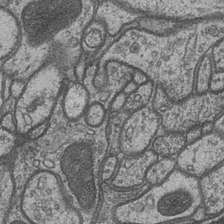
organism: Drosophila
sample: Optic medulla